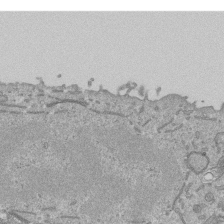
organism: Mouse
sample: ED-1 cell nuclei; centrioles